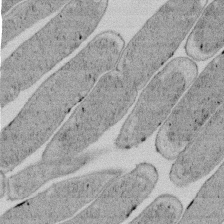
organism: E. coli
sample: Bacterial nucleoid